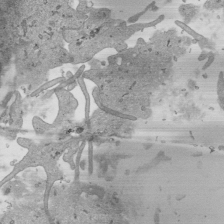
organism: Human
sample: Mitochondria in HCT116 cells